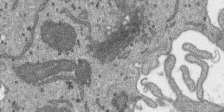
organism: Human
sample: Lung epithelial cells infected with SARS-CoV-2